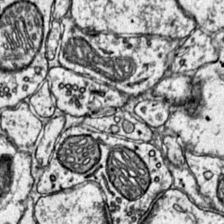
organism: Mouse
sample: Primary visual cortex